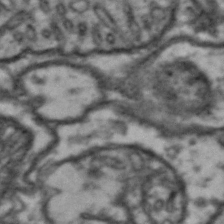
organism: Drosophila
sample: Brain